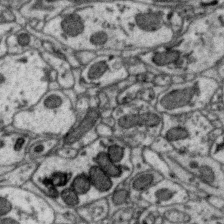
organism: Zebra finch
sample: Brain